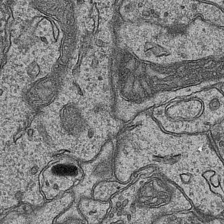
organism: Mouse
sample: CA1 Hippocampus